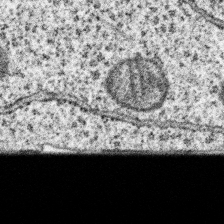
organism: Human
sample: HeLa cells